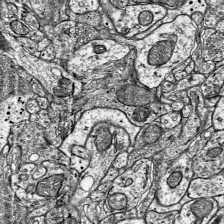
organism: Mouse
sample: Visual Cortex